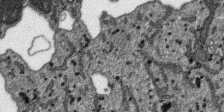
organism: Human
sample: Lung epithelial cells infected with SARS-CoV-2